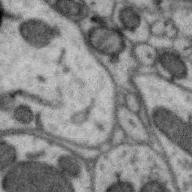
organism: Zebra finch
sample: Brain